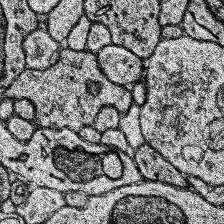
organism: Human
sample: Temporal Lobe